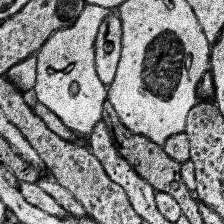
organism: Human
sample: Temporal Lobe